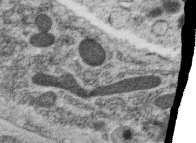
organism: C. elegans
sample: C. elegans oocyte; sperm cells